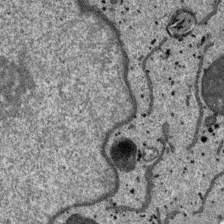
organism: Human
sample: Lung epithelial cells, uninfected (mock) control